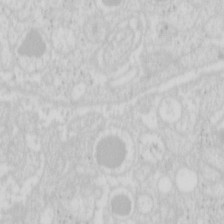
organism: Mouse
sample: Pancreas